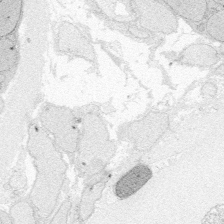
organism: Zebrafish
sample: Whole-Brain